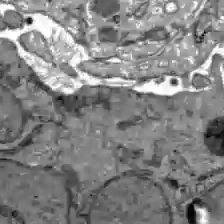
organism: C57BL Mouse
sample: Liver